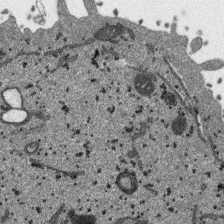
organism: Human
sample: Lung epithelial cells infected with SARS-CoV-2